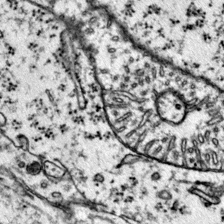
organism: Mouse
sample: Primary visual cortex